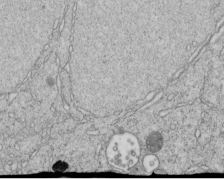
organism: C. elegans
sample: C. elegans embryo early stage